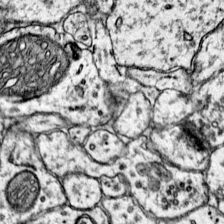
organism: Mouse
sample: Primary visual cortex